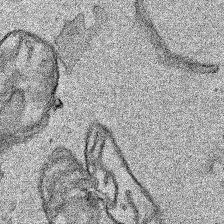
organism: Human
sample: Mitochondria in HCT116 cells